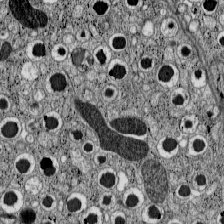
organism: C57BL Mouse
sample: Pancreatic islet